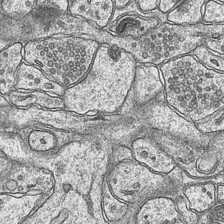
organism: Mouse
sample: CA1 Hippocampus